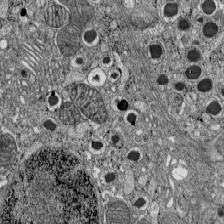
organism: C57BL Mouse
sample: Pancreatic islet